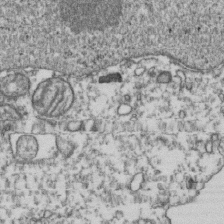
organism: Human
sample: Activated Jurkat CD4+ T cells